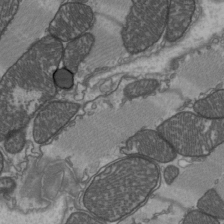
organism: C57BL Mouse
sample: Heart